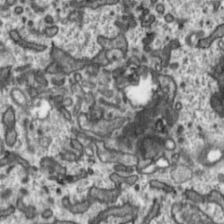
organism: Toxoplasma gondii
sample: Parasites in a vacuole inside a host cell